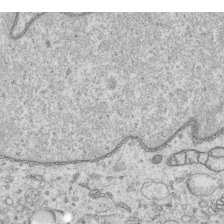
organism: Human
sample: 1205lu cells